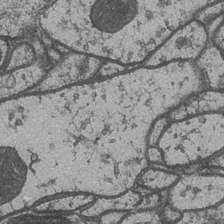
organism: Drosophila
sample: Optic medulla